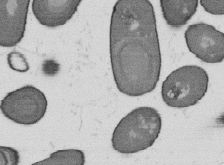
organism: B. subtilis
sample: Bacterial spore